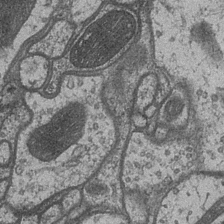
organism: Drosophila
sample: Optic medulla